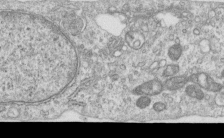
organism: Human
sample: Centriole in RPE cells